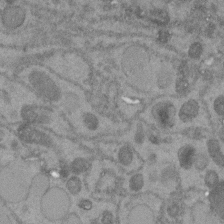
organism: C. elegans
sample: C. elegans embryo early stage